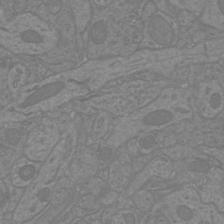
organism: Mouse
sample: Cortical neurons